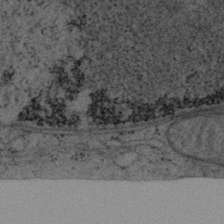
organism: Human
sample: HeLa cells